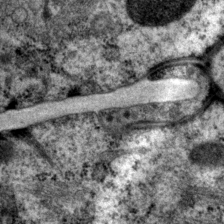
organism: P. pacificus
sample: Pharynx